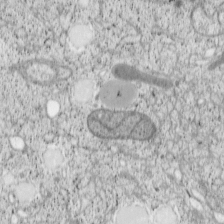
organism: African green monkey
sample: COS-7 cells